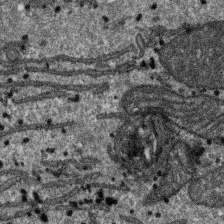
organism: Human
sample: Lung epithelial cells infected with SARS-CoV-2